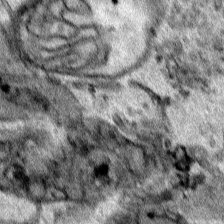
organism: Human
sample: Mitochondria in HCT116 cells